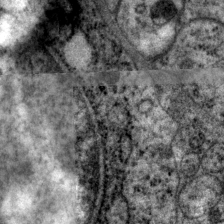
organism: P. pacificus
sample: Pharynx